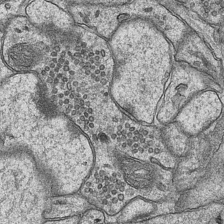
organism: Mouse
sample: CA1 Hippocampus